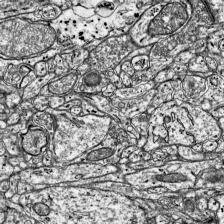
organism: Mouse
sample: Visual Cortex